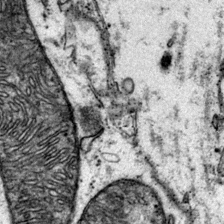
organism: Mouse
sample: Primary visual cortex